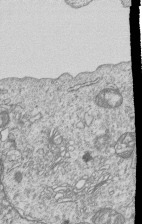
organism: Human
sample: MDA-MB-231 cells